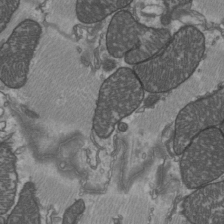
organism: C57BL Mouse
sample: Heart